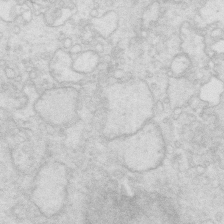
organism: Mouse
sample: Multiciliated cells